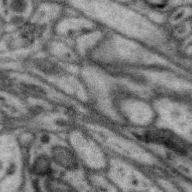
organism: Zebra finch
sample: Brain